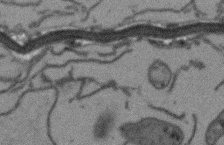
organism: Arabidopsis thaliana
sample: Root tip